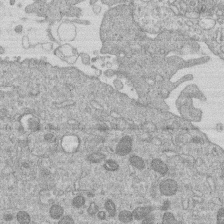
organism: Human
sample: Macrophage cells